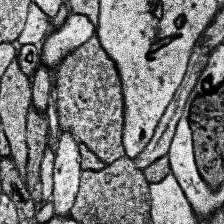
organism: Human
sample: Temporal Lobe